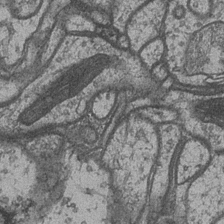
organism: Drosophila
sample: Optic medulla